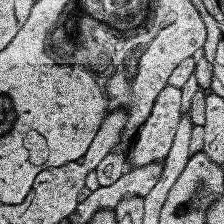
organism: Human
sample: Temporal Lobe